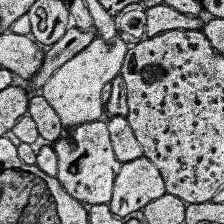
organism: Human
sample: Temporal Lobe